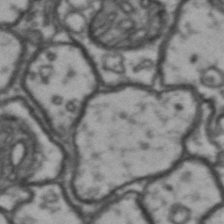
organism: Drosophila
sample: Brain